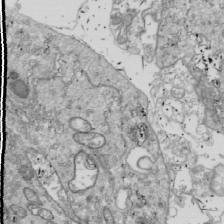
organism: Drosophila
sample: Cell division; meiosis; drosophila spermatocytes